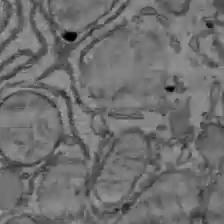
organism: C57BL Mouse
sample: Liver